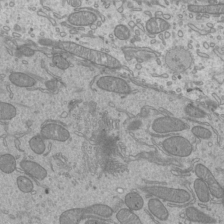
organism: Mouse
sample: Cilia; mouse epididymis